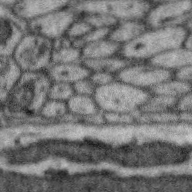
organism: Zebra finch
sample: Brain